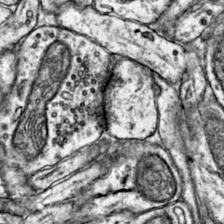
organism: Mouse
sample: Primary visual cortex